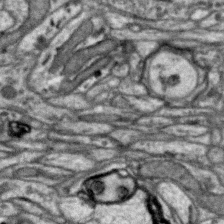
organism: Zebra finch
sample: Brain